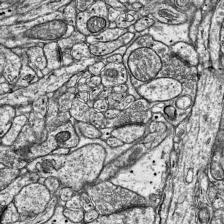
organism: Mouse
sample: Visual Cortex